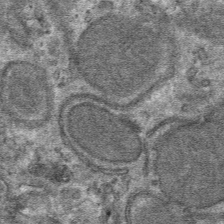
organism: Mouse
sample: Mouse hepatocytes